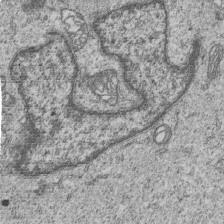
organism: Human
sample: MDA-MB-231 cells